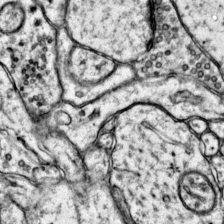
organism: Mouse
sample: Primary visual cortex